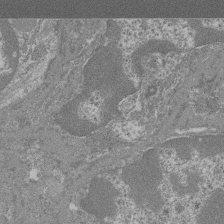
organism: Mouse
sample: Glomerulus